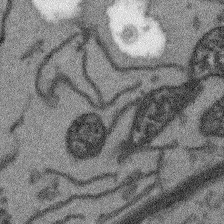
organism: Arabidopsis thaliana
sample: Root tip